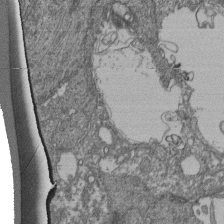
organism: Human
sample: Retinal organoid Rod and Cone cells